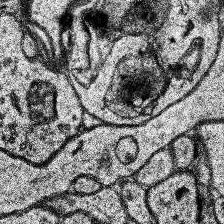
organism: Human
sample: Temporal Lobe